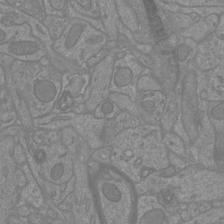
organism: Mouse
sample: Cortical neurons